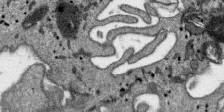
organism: Human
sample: Lung epithelial cells, uninfected (mock) control